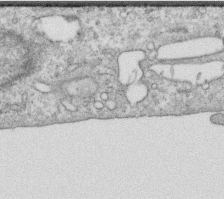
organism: Human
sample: Centriole in RPE cells